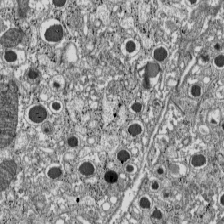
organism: C57BL Mouse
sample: Pancreatic islet